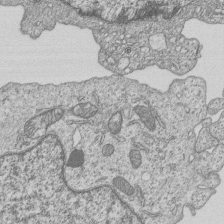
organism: Human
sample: MDA-MB-231 cells